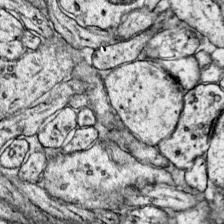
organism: Mouse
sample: Primary visual cortex